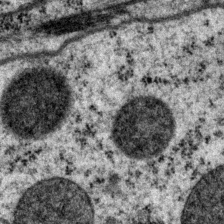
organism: P. pacificus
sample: Pharynx